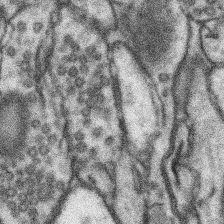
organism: Mouse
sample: Somatosensory cortex neuropil